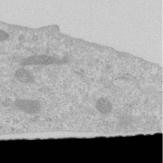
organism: Human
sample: Centriole in RPE cells